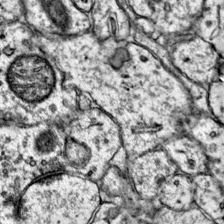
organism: Mouse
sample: Primary visual cortex